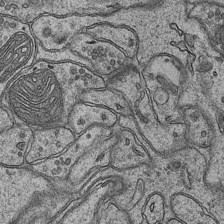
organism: Mouse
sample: CA1 Hippocampus